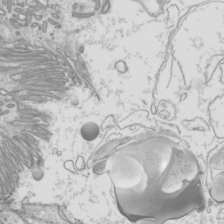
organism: Mouse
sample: Cilia; mouse epididymis